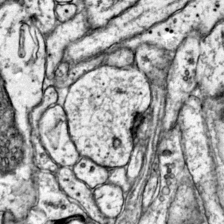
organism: Mouse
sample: Primary visual cortex